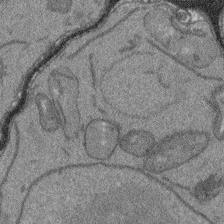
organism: Arabidopsis thaliana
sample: Root tip